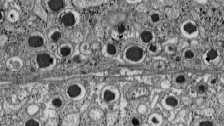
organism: C57BL Mouse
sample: Pancreatic islet